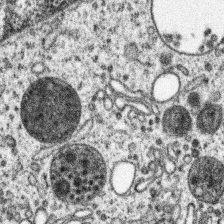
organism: Human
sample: HeLa cells